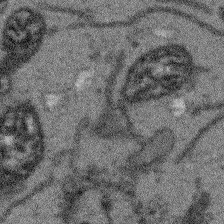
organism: Arabidopsis thaliana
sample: Root tip